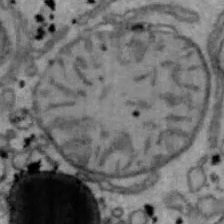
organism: Mouse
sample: Liver